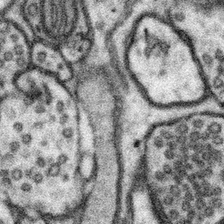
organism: Mouse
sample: Somatosensory cortex neuropil